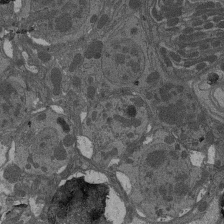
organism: Drosophila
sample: Antenna